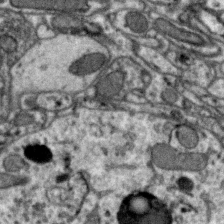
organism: Zebra finch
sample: Brain